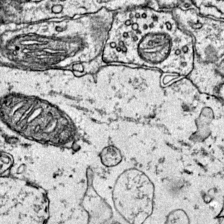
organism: Mouse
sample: Primary visual cortex